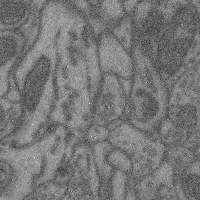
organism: Mouse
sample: Cerebral cortex